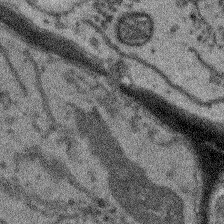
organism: Arabidopsis thaliana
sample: Root tip